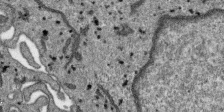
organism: Human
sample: Lung epithelial cells, uninfected (mock) control